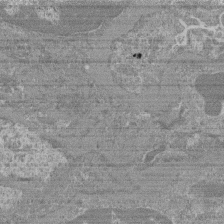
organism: Mouse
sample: Glomerulus